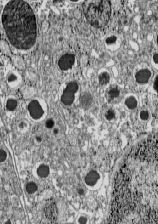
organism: C57BL Mouse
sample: Pancreatic islet